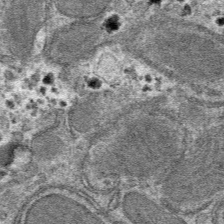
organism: Mouse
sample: Mouse hepatocytes